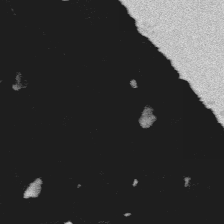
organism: Platynereis dumerilii